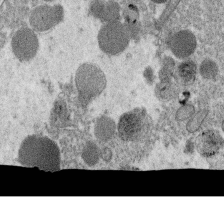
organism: C. elegans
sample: C. elegans oocyte; sperm cells